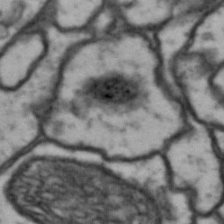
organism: Drosophila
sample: Brain